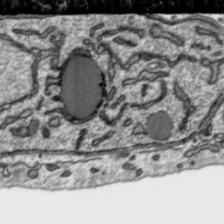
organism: Toxoplasma gondii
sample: Parasites in a vacuole inside a host cell